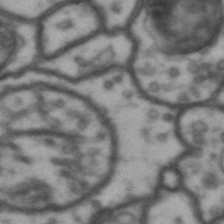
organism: Drosophila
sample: Brain